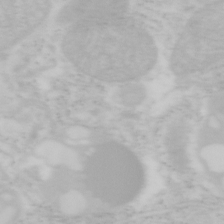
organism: Mouse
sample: OT-I killer T cells with ID8 ovarian cancer cells